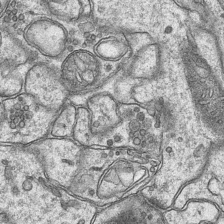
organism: Mouse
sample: CA1 Hippocampus